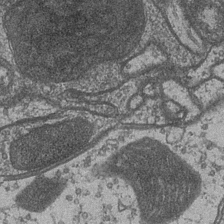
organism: Drosophila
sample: Optic medulla